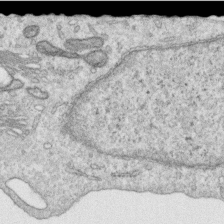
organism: Human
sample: Centriole in RPE cells